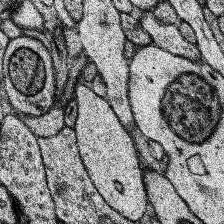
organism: Human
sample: Temporal Lobe